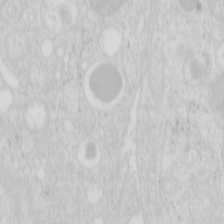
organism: Mouse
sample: Pancreas